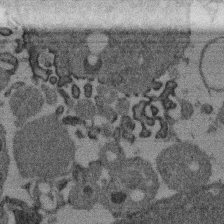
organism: Mouse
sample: Dividing mouse embryo 1 cell stage